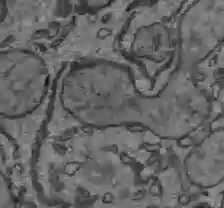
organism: C57BL Mouse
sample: Liver